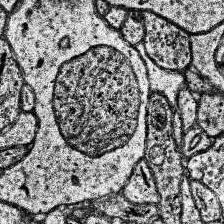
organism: Human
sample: Temporal Lobe